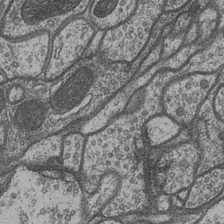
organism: Drosophila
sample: Optic medulla